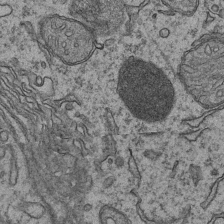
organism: Mouse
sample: CA1 Hippocampus